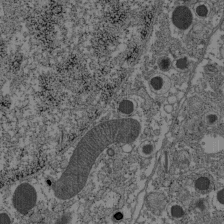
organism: C57BL Mouse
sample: Pancreatic islet